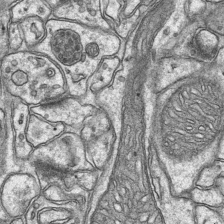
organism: Mouse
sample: CA1 Hippocampus